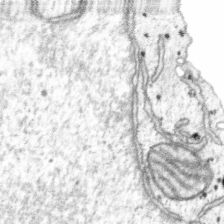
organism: Human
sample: HeLa cells